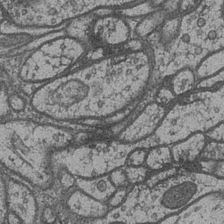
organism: Drosophila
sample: Optic medulla